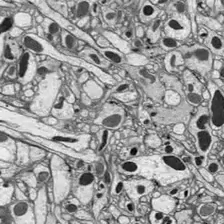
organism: Drosophila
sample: Optic lobe